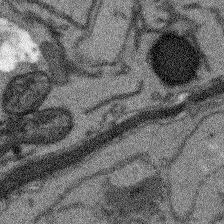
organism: Arabidopsis thaliana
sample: Root tip